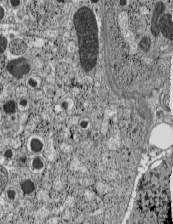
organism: C57BL Mouse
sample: Pancreatic islet